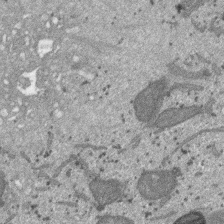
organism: Human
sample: Lung epithelial cells infected with SARS-CoV-2